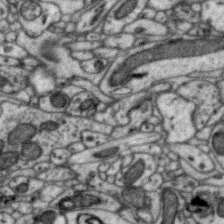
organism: Zebra finch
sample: Brain